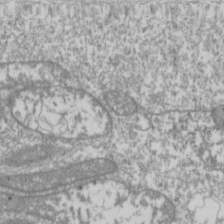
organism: Drosophila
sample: Cell division; meiosis; drosophila spermatocytes